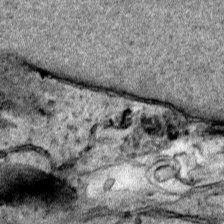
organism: Human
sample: Mitochondria in HCT116 cells